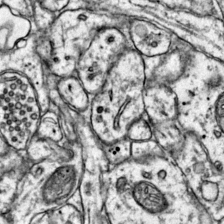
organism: Mouse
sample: Primary visual cortex